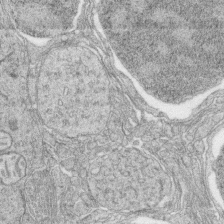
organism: Zebrafish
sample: synaptic ribbons in rod cells and cone cells